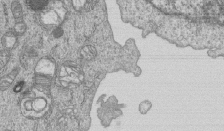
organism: Human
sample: MDA-MB-231 cells